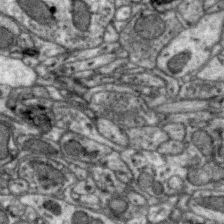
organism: Zebra finch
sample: Brain